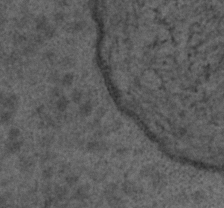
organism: C. elegans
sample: C. elegans embryo